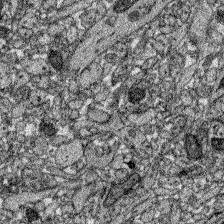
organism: Zebrafish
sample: Larval olfactory bulb